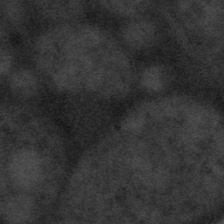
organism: Tuwongella immobilis